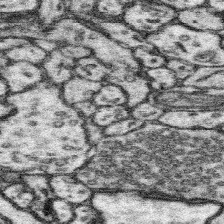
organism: Mouse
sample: Somatosensory cortex neuropil